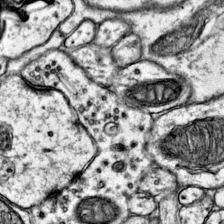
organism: Mouse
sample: Primary visual cortex